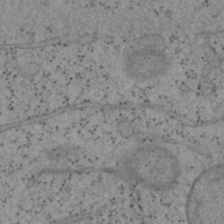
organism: Human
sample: HeLa cells